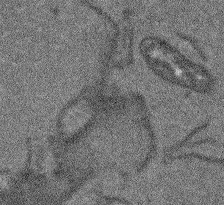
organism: Arabidopsis thaliana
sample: Root tip